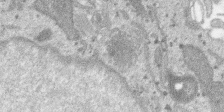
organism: Human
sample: Lung epithelial cells infected with SARS-CoV-2